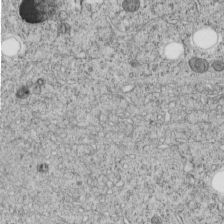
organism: C. elegans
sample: C. elegans embryo early stage